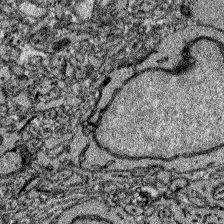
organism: Zebrafish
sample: Larval olfactory bulb